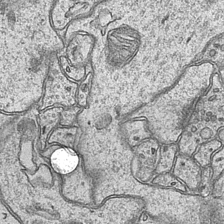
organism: Mouse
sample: CA1 Hippocampus